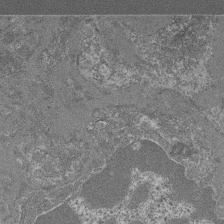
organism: Mouse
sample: Glomerulus